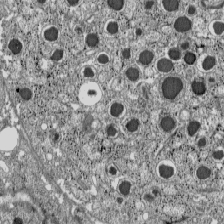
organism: C57BL Mouse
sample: Pancreatic islet